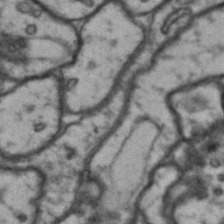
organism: Drosophila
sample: Brain